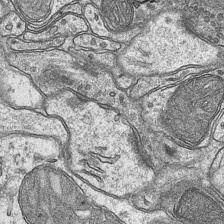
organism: Mouse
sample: CA1 Hippocampus